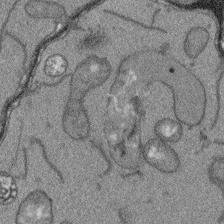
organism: Arabidopsis thaliana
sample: Root tip